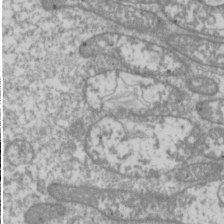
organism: Drosophila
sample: Cell division; meiosis; drosophila spermatocytes